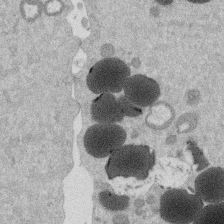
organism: Mouse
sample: Dividing mouse embryo 1 cell stage